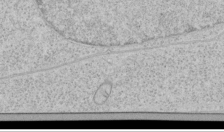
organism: Human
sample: Mitochondria in HCT116 cells